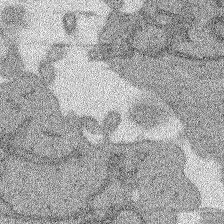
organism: Human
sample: HeLa cells